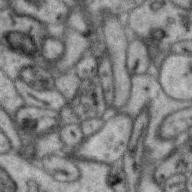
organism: Zebra finch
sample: Brain